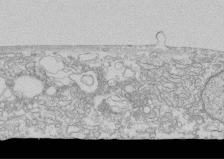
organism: Human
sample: CRL-1474